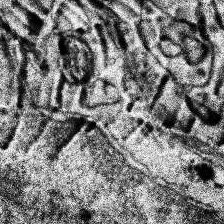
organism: Human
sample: Temporal Lobe